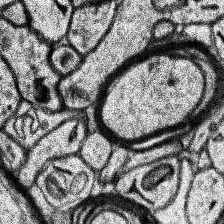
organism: Human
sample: Temporal Lobe